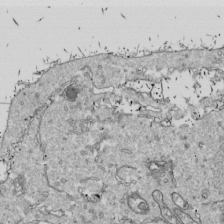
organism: Drosophila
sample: Cell division; meiosis; drosophila spermatocytes